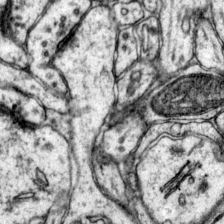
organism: Mouse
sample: Primary visual cortex